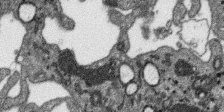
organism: Human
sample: Lung epithelial cells infected with SARS-CoV-2